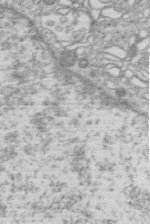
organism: Human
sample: Macrophage cells